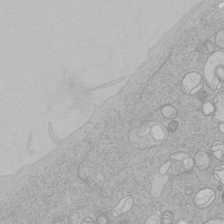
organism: Human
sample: Mitochondria in HCT116 cells